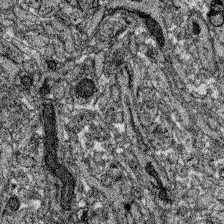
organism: Zebrafish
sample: Larval olfactory bulb